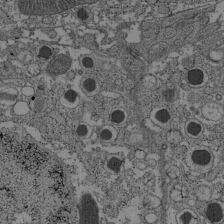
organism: C57BL Mouse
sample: Pancreatic islet